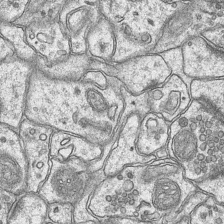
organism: Mouse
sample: CA1 Hippocampus